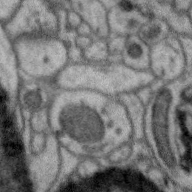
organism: Zebra finch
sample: Brain